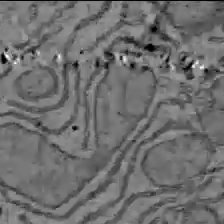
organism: C57BL Mouse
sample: Liver